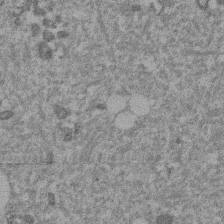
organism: Mouse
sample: Dividing mouse embryo 1 cell stage